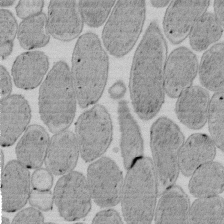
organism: E. coli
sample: Bacterial nucleoid